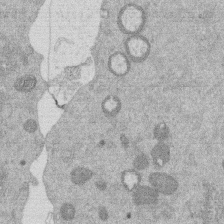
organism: Mouse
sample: Dividing mouse embryo 1 cell stage